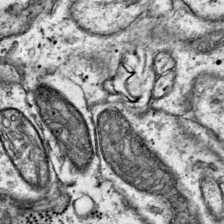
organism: Mouse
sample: Primary visual cortex